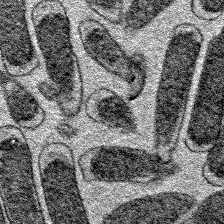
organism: E. coli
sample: E. Coli Bacteria